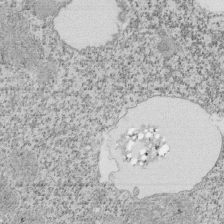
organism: Tetrahymena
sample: Cilia in tetrahymena